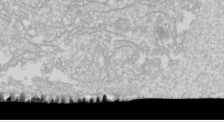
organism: Drosophila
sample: Cell division; meiosis; drosophila spermatocytes